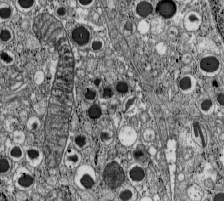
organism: C57BL Mouse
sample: Pancreatic islet